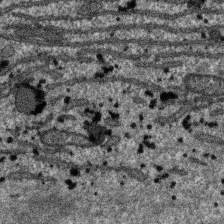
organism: Human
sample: Lung epithelial cells infected with SARS-CoV-2